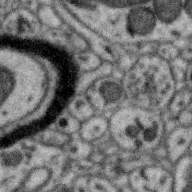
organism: Zebra finch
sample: Brain